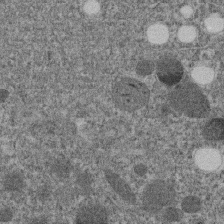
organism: C. elegans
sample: C. elegans embryo early stage